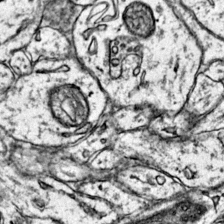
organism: Mouse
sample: Primary visual cortex